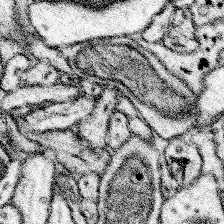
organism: Mouse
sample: Somatosensory cortex neuropil